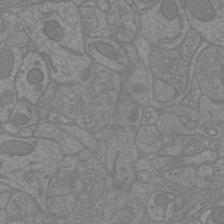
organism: Mouse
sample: Cortical neurons